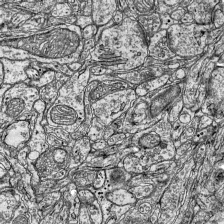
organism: Mouse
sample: Visual Cortex